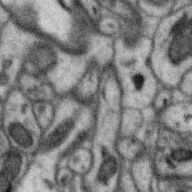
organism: Zebra finch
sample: Brain